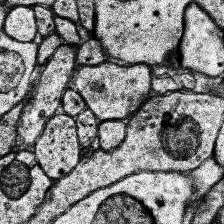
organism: Human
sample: Temporal Lobe